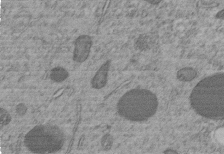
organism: C. elegans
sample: C. elegans embryo early stage